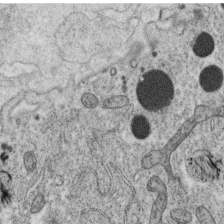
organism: C. elegans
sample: C. elegans oocyte; sperm cells